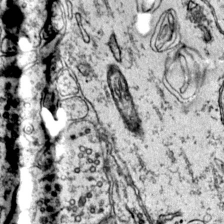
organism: Mouse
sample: Primary visual cortex